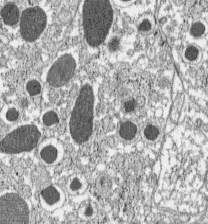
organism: C57BL Mouse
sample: Pancreatic islet